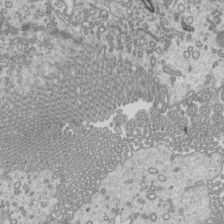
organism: Mouse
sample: Cilia; mouse epididymis